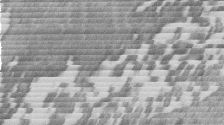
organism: Mouse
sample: Dividing mouse embryo 1 cell stage